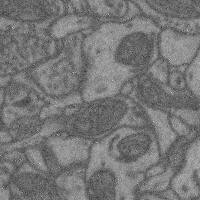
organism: Mouse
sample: Cerebral cortex